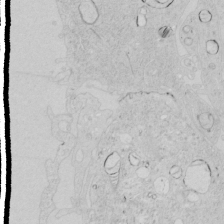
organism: Human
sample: Mitochondria in HCT116 cells